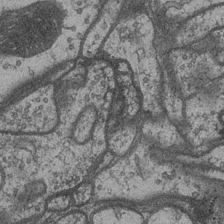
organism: Drosophila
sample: Optic medulla